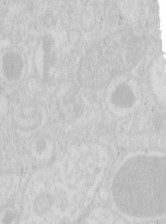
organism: Mouse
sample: Pancreas